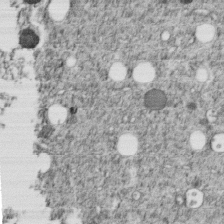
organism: C. elegans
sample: C. elegans embryo early stage